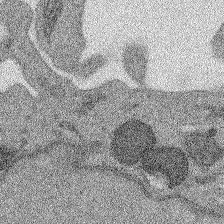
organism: Human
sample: HeLa cells